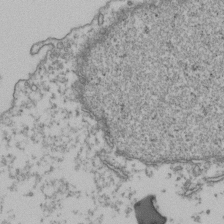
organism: Human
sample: Activated Jurkat CD4+ T cells